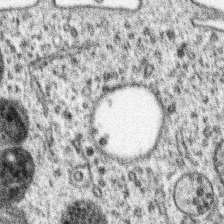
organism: Human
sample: HeLa cells